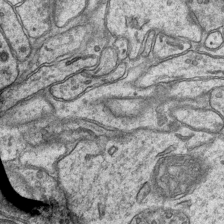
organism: Mouse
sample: CA1 Hippocampus